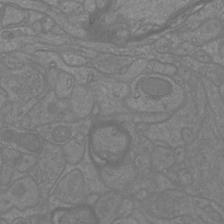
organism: Mouse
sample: Cortical neurons